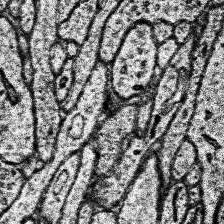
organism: Human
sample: Temporal Lobe